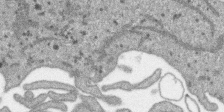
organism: Human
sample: Lung epithelial cells infected with SARS-CoV-2